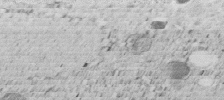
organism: C. elegans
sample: C. elegans embryo early stage